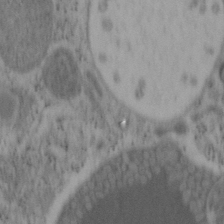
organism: Mouse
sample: OT-I killer T cells with ID8 ovarian cancer cells